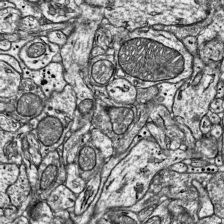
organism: Mouse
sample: Visual Cortex